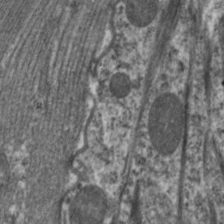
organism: C. elegans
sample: Pharynx